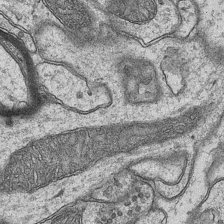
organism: Mouse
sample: CA1 Hippocampus